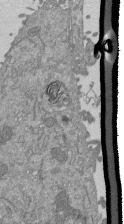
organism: Mouse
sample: ED-1 cell nuclei; centrioles